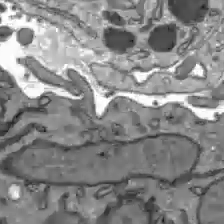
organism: C57BL Mouse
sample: Liver